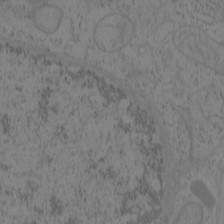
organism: Human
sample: HeLa cells